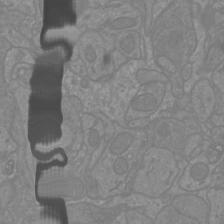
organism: Mouse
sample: Cortical neurons